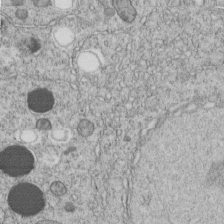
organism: C. elegans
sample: C. elegans embryo early stage